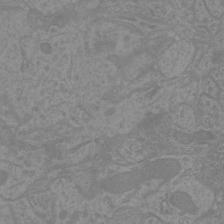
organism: Mouse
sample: Cortical neurons